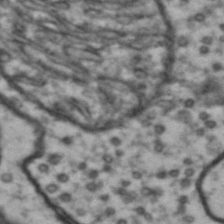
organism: Drosophila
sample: Brain